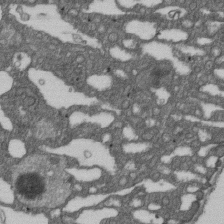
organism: Drosophila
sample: Nephrocyte